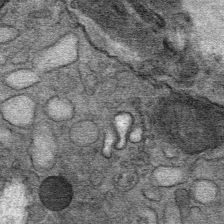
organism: Mouse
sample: Mouse Salivary gland